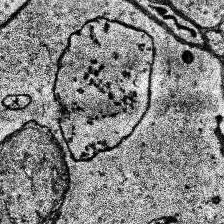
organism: Human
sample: Temporal Lobe